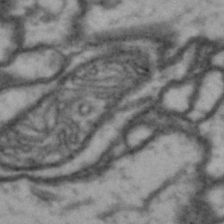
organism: Drosophila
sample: Brain